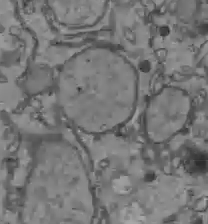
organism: C57BL Mouse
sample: Liver